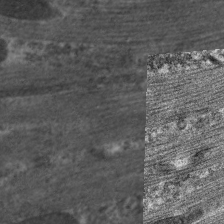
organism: C. elegans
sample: Pharynx